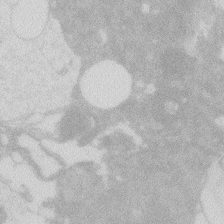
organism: Zebrafish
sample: Macrophage